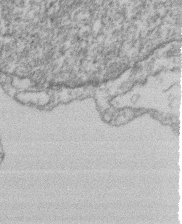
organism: Mouse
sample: T cell stromal cell synapse